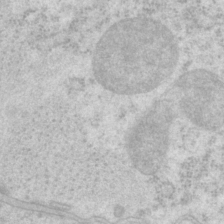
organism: P. pacificus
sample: Pharynx